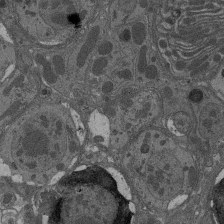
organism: Drosophila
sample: Antenna